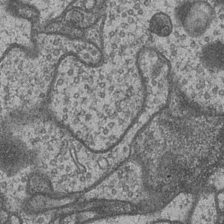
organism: Drosophila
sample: Optic medulla